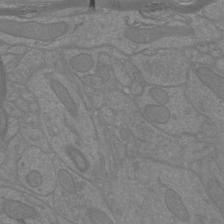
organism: Mouse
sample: Cortical neurons